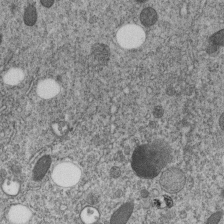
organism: C. elegans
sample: C. elegans embryo early stage